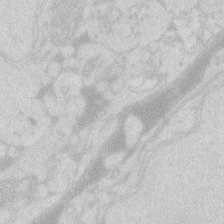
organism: Zebrafish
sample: Macrophage